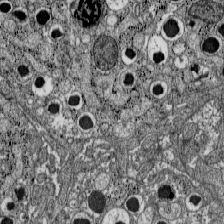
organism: C57BL Mouse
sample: Pancreatic islet